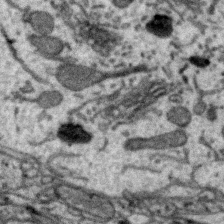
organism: Zebra finch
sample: Brain